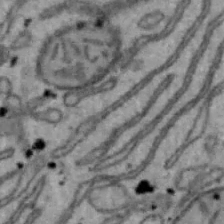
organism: Mouse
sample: Liver